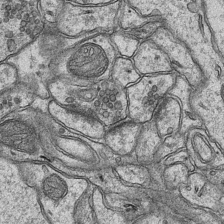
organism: Mouse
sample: CA1 Hippocampus